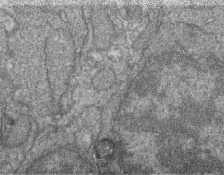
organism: Zebrafish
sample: Cilia; retinal pigment epithelium